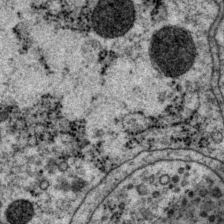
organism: P. pacificus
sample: Pharynx